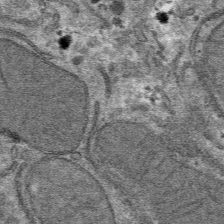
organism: Mouse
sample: Mouse hepatocytes